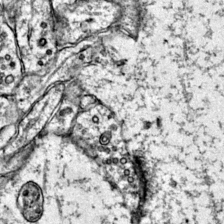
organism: Mouse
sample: Primary visual cortex